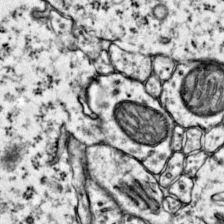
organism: Mouse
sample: Primary visual cortex